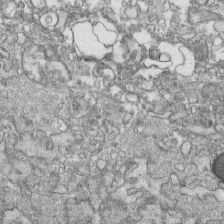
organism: Human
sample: CRL-1474